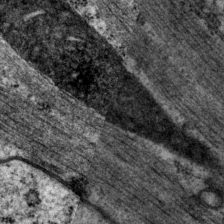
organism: P. pacificus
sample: Pharynx